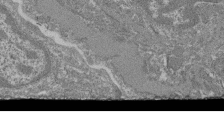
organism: Mouse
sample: Glomerulus